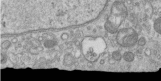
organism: Human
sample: Centriole in RPE cells